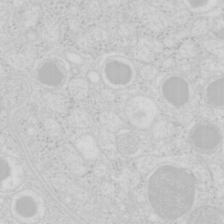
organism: Mouse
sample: Pancreas